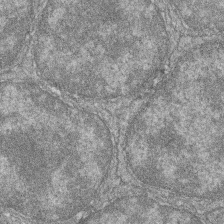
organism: Zebrafish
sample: Cilia; retinal pigment epithelium